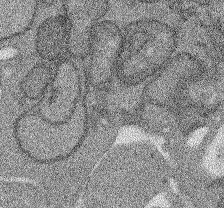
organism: Human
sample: HeLa cells